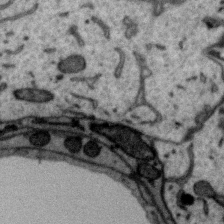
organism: Zebra finch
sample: Brain